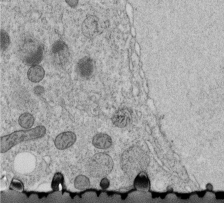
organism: C. elegans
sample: C. elegans embryo early stage